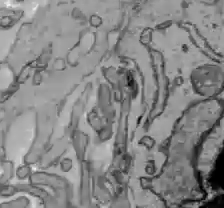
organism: C57BL Mouse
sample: Liver